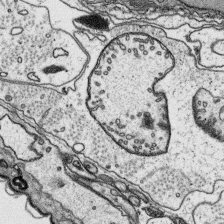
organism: Platynereis dumerilii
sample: Parapodia